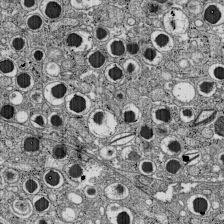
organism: C57BL Mouse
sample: Pancreatic islet